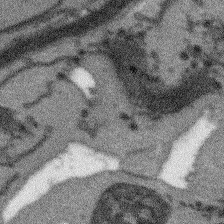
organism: Arabidopsis thaliana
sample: Root tip